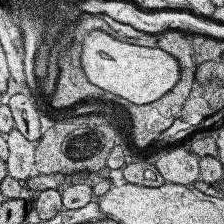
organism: Human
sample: Temporal Lobe